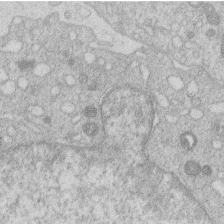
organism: Human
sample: Macrophage cells